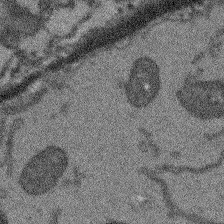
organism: Arabidopsis thaliana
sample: Root tip